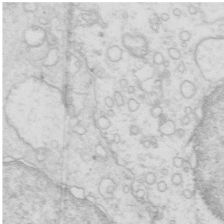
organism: Mouse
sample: Multiciliated cells